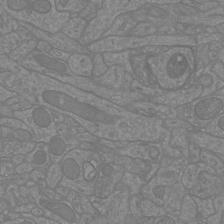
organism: Mouse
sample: Cortical neurons